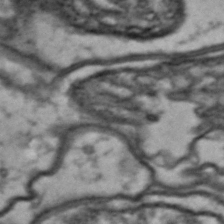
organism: Drosophila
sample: Brain